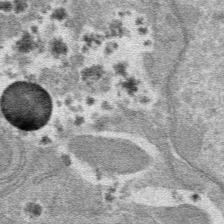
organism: Mouse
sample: Mouse hepatocytes